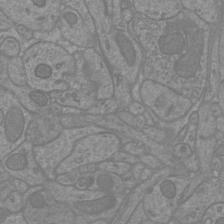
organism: Mouse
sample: Cortical neurons